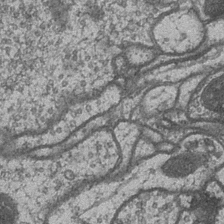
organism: Drosophila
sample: Optic medulla